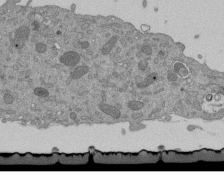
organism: Mouse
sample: ED-1 cell nuclei; centrioles